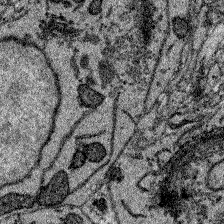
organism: Zebrafish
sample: Larval olfactory bulb